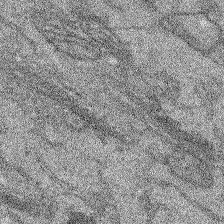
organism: Human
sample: HeLa cells